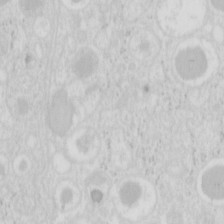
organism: Mouse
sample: Pancreas